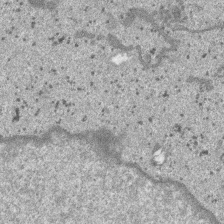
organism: Human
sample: Lung epithelial cells infected with SARS-CoV-2